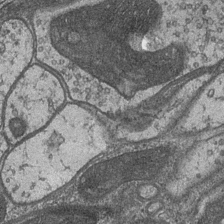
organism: Drosophila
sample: Optic medulla